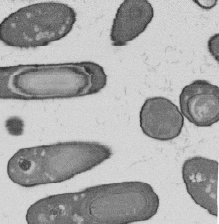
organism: B. subtilis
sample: Bacterial spore